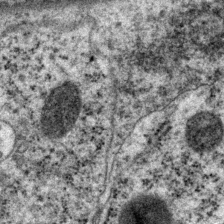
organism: P. pacificus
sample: Pharynx